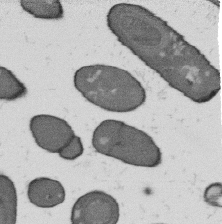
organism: B. subtilis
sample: Bacterial spore